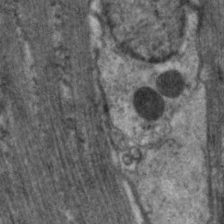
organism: C. elegans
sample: Pharynx